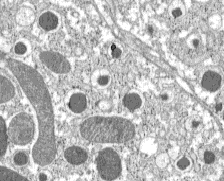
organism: C57BL Mouse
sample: Pancreatic islet